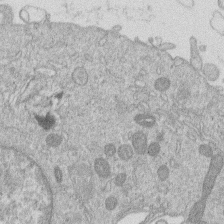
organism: Human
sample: Macrophage cells